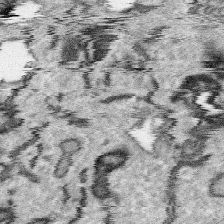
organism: Human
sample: HeLa cells